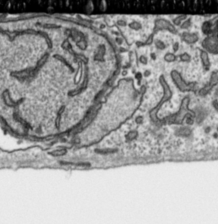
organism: Toxoplasma gondii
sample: Parasites in a vacuole inside a host cell